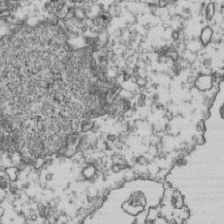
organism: Human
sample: Activated Jurkat CD4+ T cells